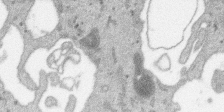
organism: Human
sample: Lung epithelial cells infected with SARS-CoV-2